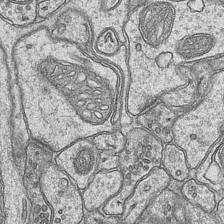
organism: Mouse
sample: CA1 Hippocampus